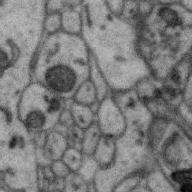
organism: Zebra finch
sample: Brain